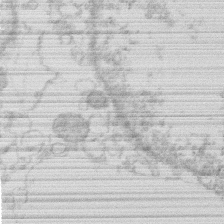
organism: Human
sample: Macrophage cells